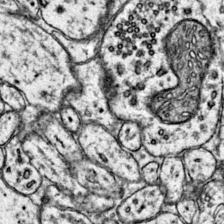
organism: Mouse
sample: Primary visual cortex